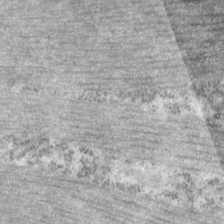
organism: P. pacificus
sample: Pharynx